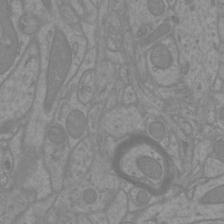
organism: Mouse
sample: Cortical neurons